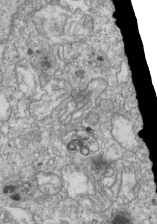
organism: Human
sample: HeLa cell HIV synapse